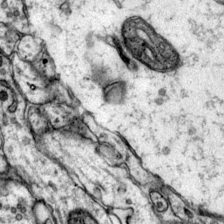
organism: Mouse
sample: Primary visual cortex